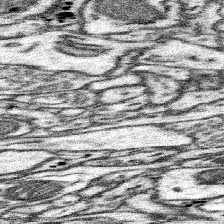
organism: Mouse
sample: Somatosensory cortex neuropil